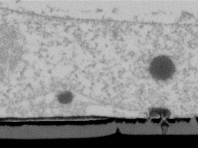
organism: Human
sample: U2-OS cells